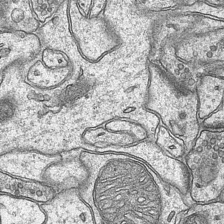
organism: Mouse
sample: CA1 Hippocampus